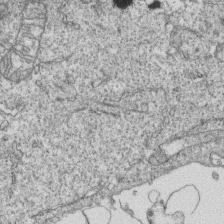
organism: Human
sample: HeLa cell HIV synapse